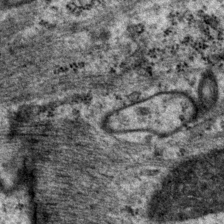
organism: P. pacificus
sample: Pharynx